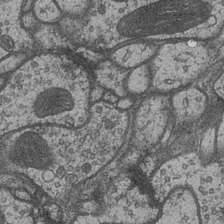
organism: Drosophila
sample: Optic medulla